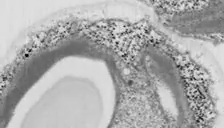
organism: Chlamydomonas reinhardtii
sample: Whole Cell